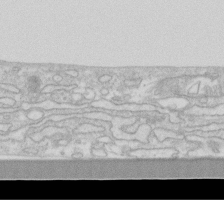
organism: Human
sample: Fibroblast cells